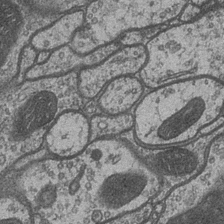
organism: Drosophila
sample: Optic medulla